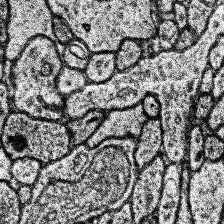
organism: Human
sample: Temporal Lobe